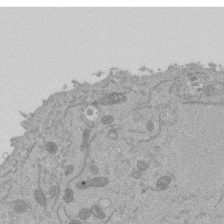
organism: Mouse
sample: ED-1 cell nuclei; centrioles